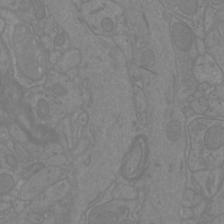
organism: Mouse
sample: Cortical neurons